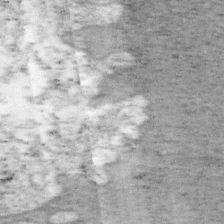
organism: Mouse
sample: OT-I killer T cells with ID8 ovarian cancer cells